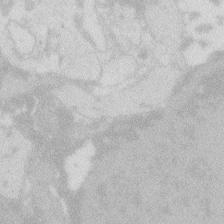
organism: Zebrafish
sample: Macrophage